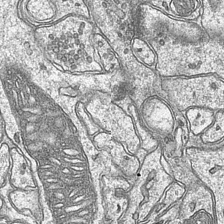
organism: Mouse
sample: CA1 Hippocampus